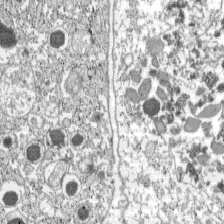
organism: C57BL Mouse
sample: Pancreatic islet